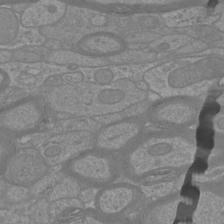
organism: Mouse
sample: Cortical neurons